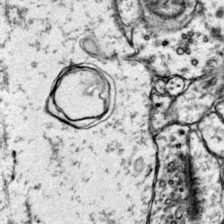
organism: Mouse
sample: Primary visual cortex